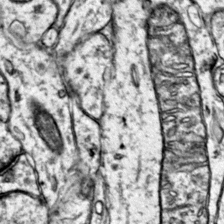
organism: Mouse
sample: Primary visual cortex